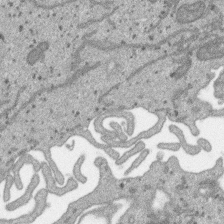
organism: Human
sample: Lung epithelial cells infected with SARS-CoV-2